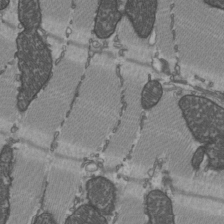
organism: C57BL Mouse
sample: Heart